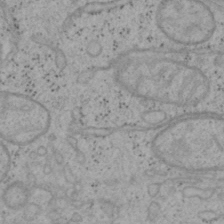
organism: Human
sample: HeLa cells